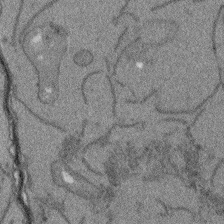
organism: Arabidopsis thaliana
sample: Root tip